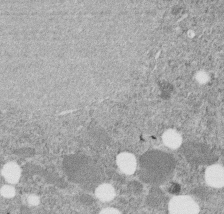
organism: C. elegans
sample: C. elegans embryo early stage